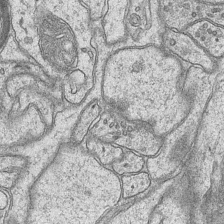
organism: Mouse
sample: CA1 Hippocampus